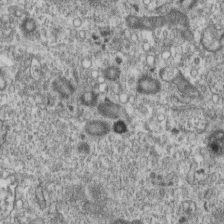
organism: Mouse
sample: Centriole in ependymal cells